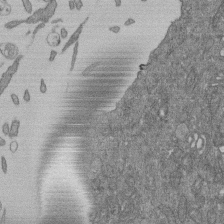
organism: Human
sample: Retinal organoid Rod and Cone cells